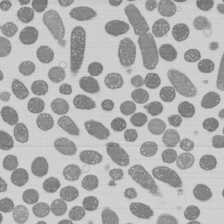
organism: E. coli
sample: Bacterial nucleoid